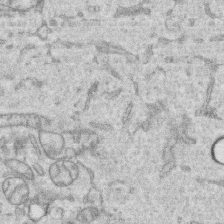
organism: Human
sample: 1205lu cells